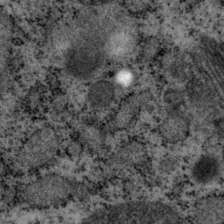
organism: P. pacificus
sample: Pharynx